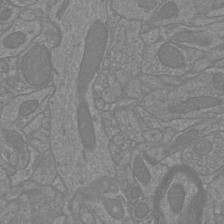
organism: Mouse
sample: Cortical neurons